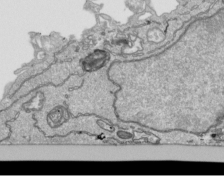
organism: Human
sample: Mitochondria in HCT116 cells